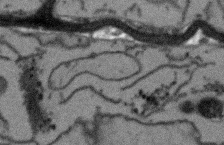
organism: Arabidopsis thaliana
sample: Root tip